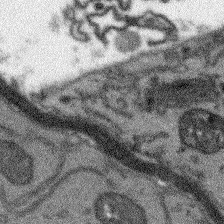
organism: Arabidopsis thaliana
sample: Root tip